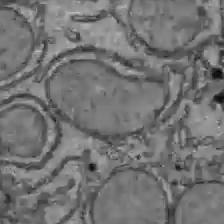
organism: C57BL Mouse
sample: Liver